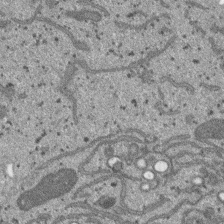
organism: Human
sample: Lung epithelial cells infected with SARS-CoV-2